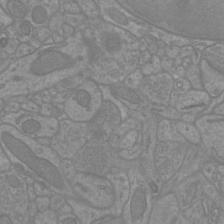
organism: Mouse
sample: Cortical neurons